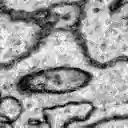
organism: Zebrafish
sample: Brain